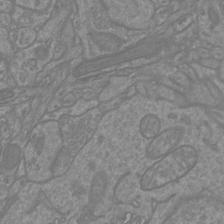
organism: Mouse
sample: Cortical neurons